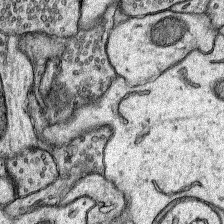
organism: Rat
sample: Hippocampus